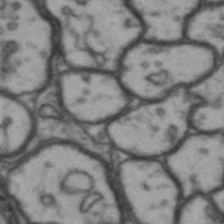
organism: Drosophila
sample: Brain